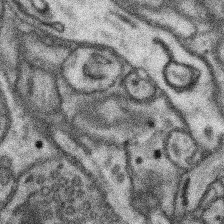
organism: Mouse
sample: Somatosensory cortex neuropil